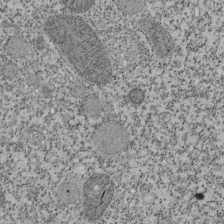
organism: Tetrahymena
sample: Cilia in tetrahymena